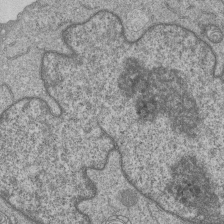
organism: Human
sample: MDA-MB-231 cells